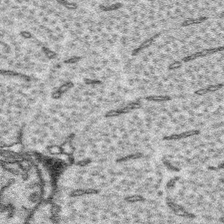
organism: Platynereis dumerilii